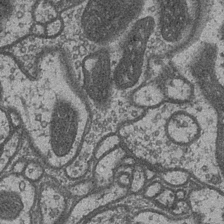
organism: Drosophila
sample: Optic medulla